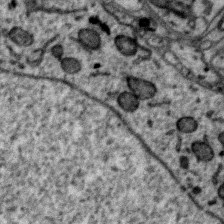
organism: Zebra finch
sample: Brain